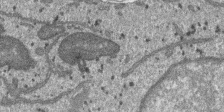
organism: Human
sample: Lung epithelial cells infected with SARS-CoV-2